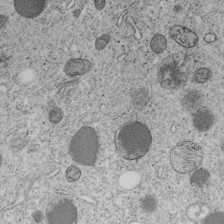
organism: C. elegans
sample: C. elegans embryo early stage